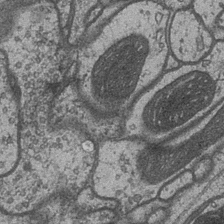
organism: Drosophila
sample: Optic medulla